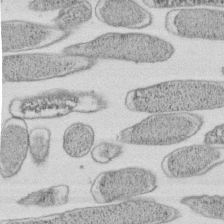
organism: E. coli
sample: Bacterial nucleoid